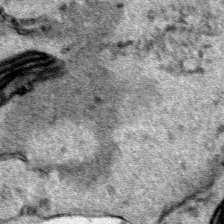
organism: Human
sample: Mitochondria in HCT116 cells